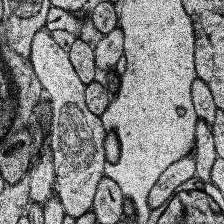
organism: Human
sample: Temporal Lobe